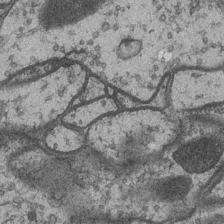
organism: Drosophila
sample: Optic medulla